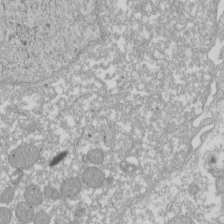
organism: Xenopus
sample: Cilia; centrioles in frog embryo cells